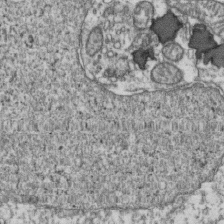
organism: Human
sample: Activated Jurkat CD4+ T cells